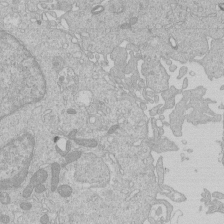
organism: Human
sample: Macrophage cells